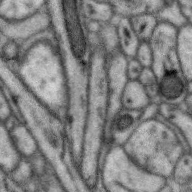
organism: Zebra finch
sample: Brain